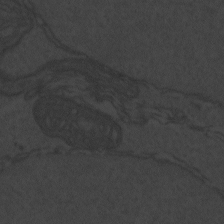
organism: Zebrafish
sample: Macrophage infected with Toxoplasma gondii